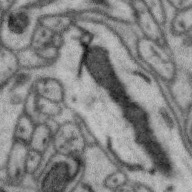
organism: Zebra finch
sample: Brain